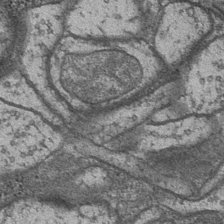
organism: Drosophila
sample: Optic medulla